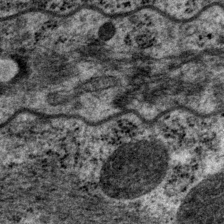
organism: P. pacificus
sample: Pharynx